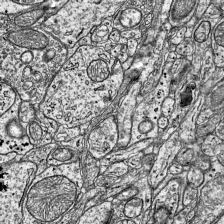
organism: Mouse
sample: Visual Cortex